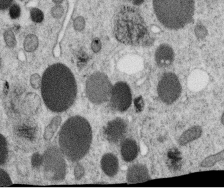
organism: C. elegans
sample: C. elegans oocyte; sperm cells